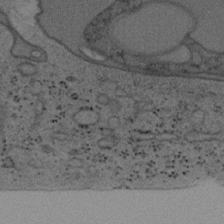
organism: Human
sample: HeLa cells